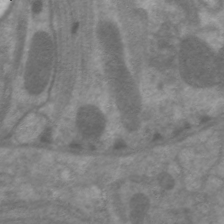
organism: C. elegans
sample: Pharynx